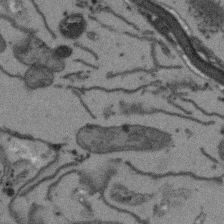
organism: Arabidopsis thaliana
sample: Root tip